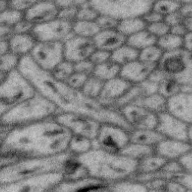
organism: Zebra finch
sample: Brain